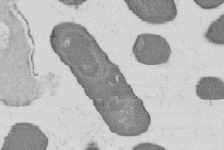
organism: B. subtilis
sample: Bacterial spore